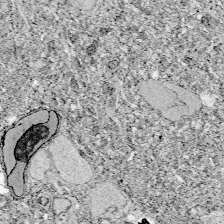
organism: Zebrafish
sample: Whole-Brain